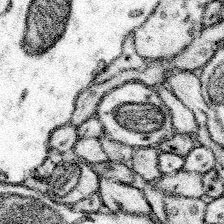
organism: Mouse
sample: Somatosensory cortex neuropil